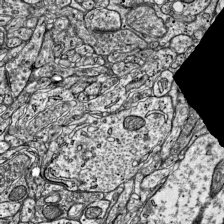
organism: Mouse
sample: Visual Cortex